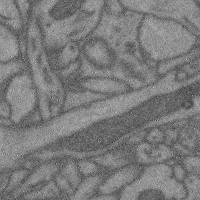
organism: Mouse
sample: Cerebral cortex